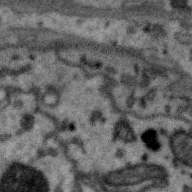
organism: Zebra finch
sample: Brain